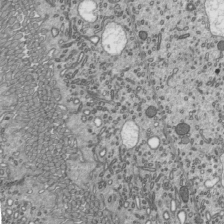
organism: Mouse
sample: Mouse epididymis efferent ductule cilia